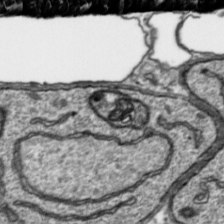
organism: Toxoplasma gondii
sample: Parasites in a vacuole inside a host cell